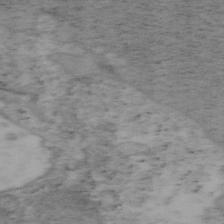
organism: Mouse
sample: OT-I killer T cells with ID8 ovarian cancer cells